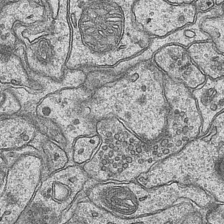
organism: Mouse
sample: CA1 Hippocampus